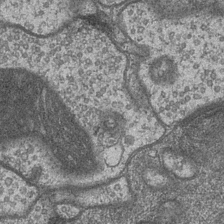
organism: Drosophila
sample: Optic medulla